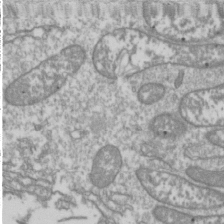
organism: Drosophila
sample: Cell division; meiosis; drosophila spermatocytes